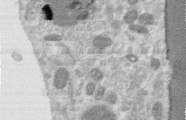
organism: Human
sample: Centriole in RPE cells